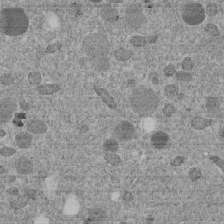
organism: C. elegans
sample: C. elegans embryo early stage